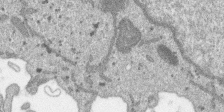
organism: Human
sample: Lung epithelial cells infected with SARS-CoV-2